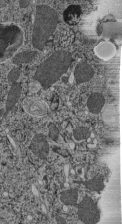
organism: C. elegans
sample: C. elegans pharynx